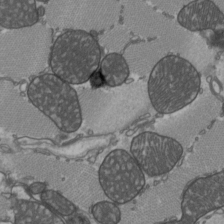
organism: C57BL Mouse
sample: Heart